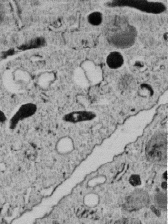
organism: C. elegans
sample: C. elegans embryo early stage